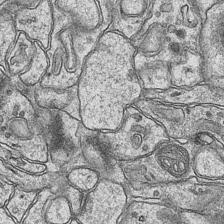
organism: Mouse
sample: CA1 Hippocampus